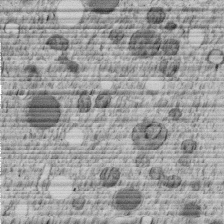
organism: C. elegans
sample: C. elegans embryo early stage